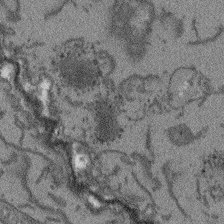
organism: Arabidopsis thaliana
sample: Root tip